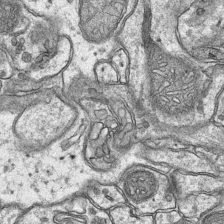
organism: Mouse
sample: CA1 Hippocampus